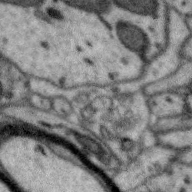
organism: Zebra finch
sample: Brain